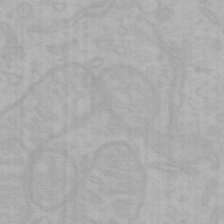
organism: Mouse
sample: Choroid plexus